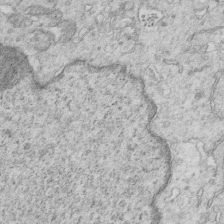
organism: Mouse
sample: Multiciliated cells